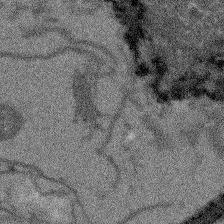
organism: Arabidopsis thaliana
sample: Root tip